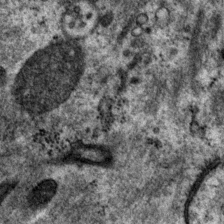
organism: P. pacificus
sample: Pharynx